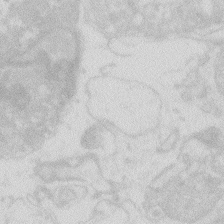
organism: Zebrafish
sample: Macrophage